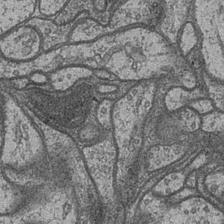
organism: Drosophila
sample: Optic medulla